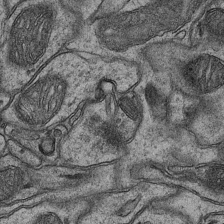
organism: Mouse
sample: CA1 Hippocampus